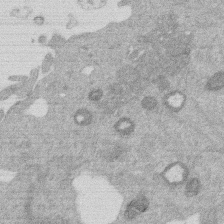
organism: Mouse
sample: Dividing mouse embryo 1 cell stage